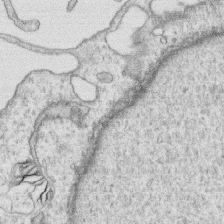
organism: Human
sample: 1205lu cells